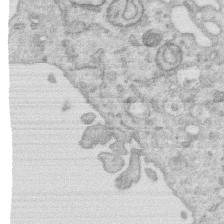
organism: Human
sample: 1205lu cells